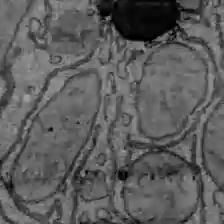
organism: C57BL Mouse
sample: Liver